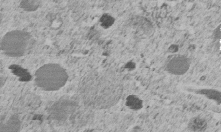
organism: C. elegans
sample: C. elegans embryo early stage